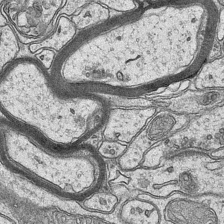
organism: Mouse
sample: CA1 Hippocampus